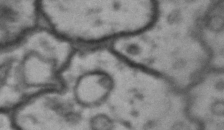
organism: Drosophila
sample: Brain